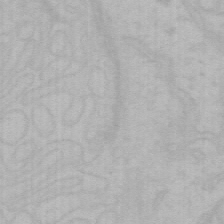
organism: Mouse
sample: Choroid plexus